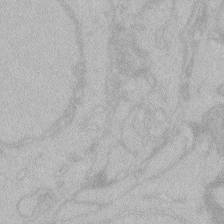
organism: Zebrafish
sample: Macrophage infected with Toxoplasma gondii